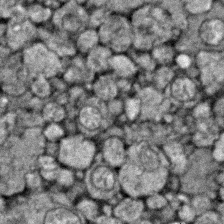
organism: Zebrafish